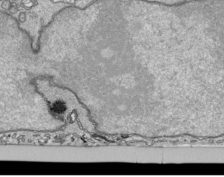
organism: Human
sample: Mitochondria in HCT116 cells